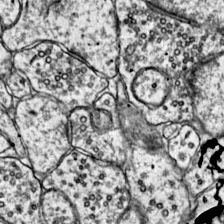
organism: Mouse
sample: Primary visual cortex